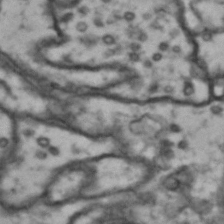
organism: Drosophila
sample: Brain